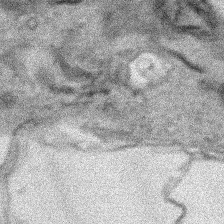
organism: Human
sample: Mitochondria in HCT116 cells